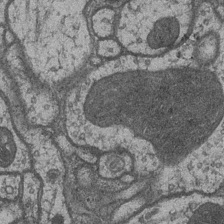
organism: Drosophila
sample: Optic medulla